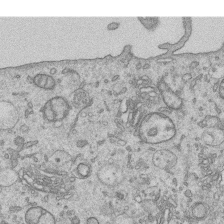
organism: Human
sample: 1205lu cells